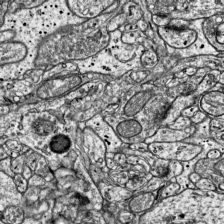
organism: Mouse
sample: Visual Cortex